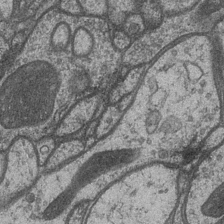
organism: Drosophila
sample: Optic medulla